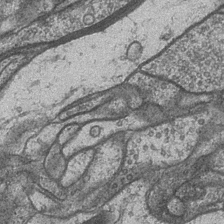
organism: Drosophila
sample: Optic medulla